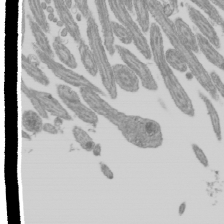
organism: Mouse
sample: Cilia; mouse epididymis